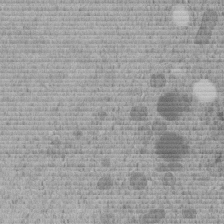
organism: C. elegans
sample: C. elegans embryo early stage